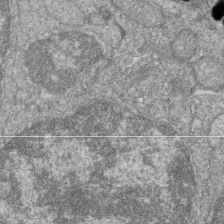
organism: Zebrafish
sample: Cilia; retinal pigment epithelium